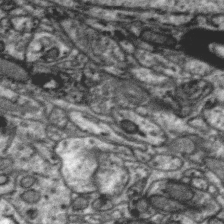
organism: Zebra finch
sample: Brain